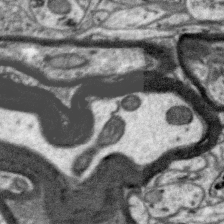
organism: Zebra finch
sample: Brain